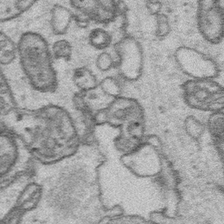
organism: Platynereis dumerilii